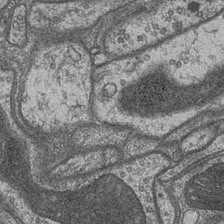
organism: Drosophila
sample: Optic medulla